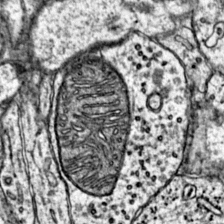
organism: Mouse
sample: Primary visual cortex